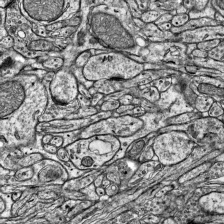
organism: Mouse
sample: Visual Cortex